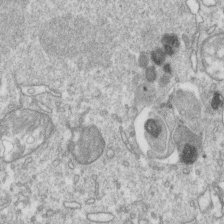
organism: Mouse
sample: Activated OT-1 CD8+ T cells